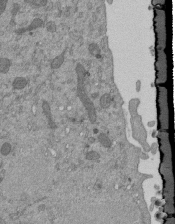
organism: Mouse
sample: ED-1 cell nuclei; centrioles